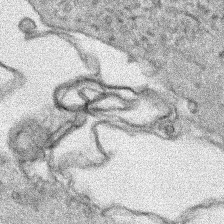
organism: Human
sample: Mitochondria in HCT116 cells